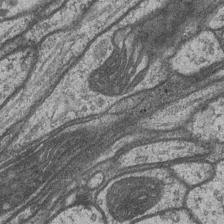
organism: Drosophila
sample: Optic medulla